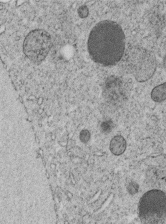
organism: C. elegans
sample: C. elegans embryo early stage